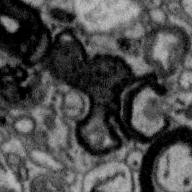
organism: Zebra finch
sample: Brain